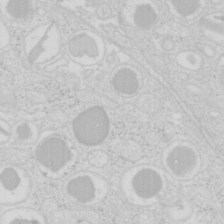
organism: Mouse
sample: Pancreas